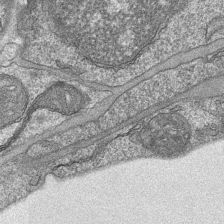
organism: Mouse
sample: CA1 Hippocampus